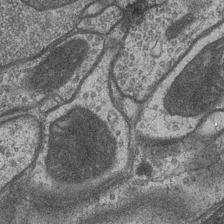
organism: Drosophila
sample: Optic medulla